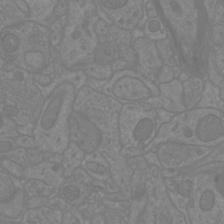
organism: Mouse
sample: Cortical neurons